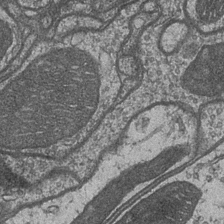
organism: Drosophila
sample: Optic medulla